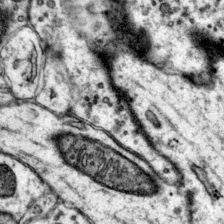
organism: Mouse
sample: Primary visual cortex